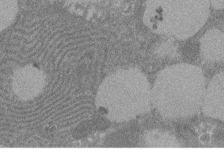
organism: Rat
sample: Salivary granule